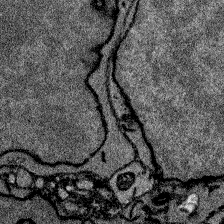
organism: Zebrafish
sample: Larval olfactory bulb